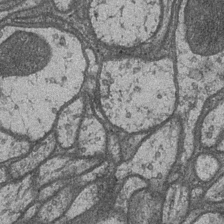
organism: Drosophila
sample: Optic medulla